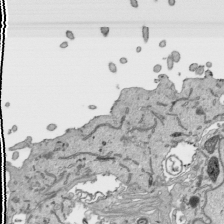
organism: Human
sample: Mitochondria in HCT116 cells